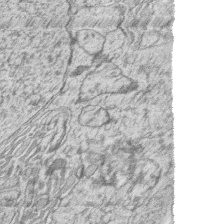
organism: Zebrafish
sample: synaptic ribbons in rod cells and cone cells